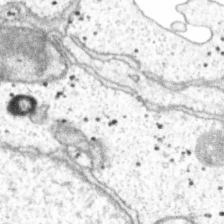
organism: Human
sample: HeLa cells